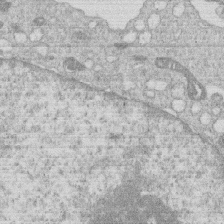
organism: Human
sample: Macrophage cells